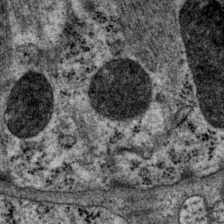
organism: P. pacificus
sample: Pharynx